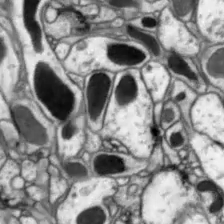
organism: Drosophila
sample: Optic lobe